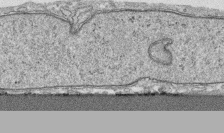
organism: Human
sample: CRL-1474